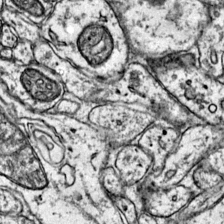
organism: Mouse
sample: Primary visual cortex